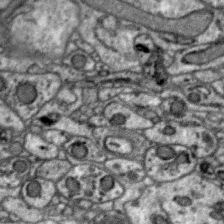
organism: Zebra finch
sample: Brain